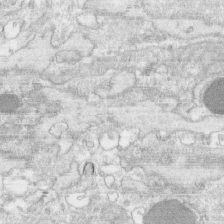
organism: Human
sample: CRL-1474